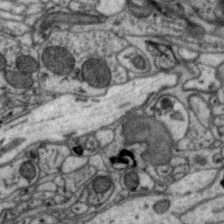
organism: Zebra finch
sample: Brain